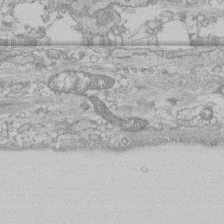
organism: Human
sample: CRL-1474